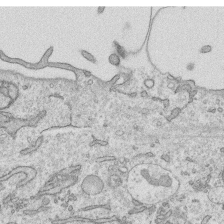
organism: Human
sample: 1205lu cells